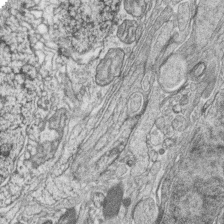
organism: Zebrafish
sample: synaptic ribbons in rod cells and cone cells